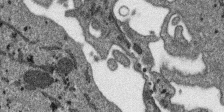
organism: Human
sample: Lung epithelial cells infected with SARS-CoV-2